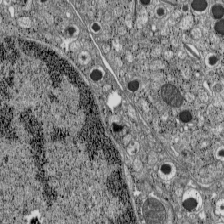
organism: C57BL Mouse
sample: Pancreatic islet